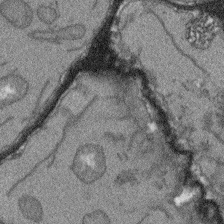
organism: Arabidopsis thaliana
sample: Root tip